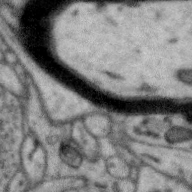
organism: Zebra finch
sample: Brain